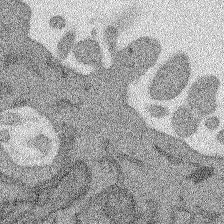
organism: Human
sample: HeLa cells